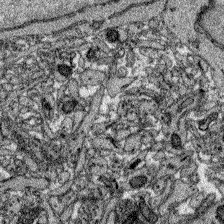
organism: Zebrafish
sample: Larval olfactory bulb